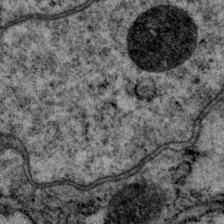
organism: P. pacificus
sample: Pharynx